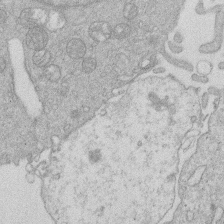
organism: Human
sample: Macrophage cells